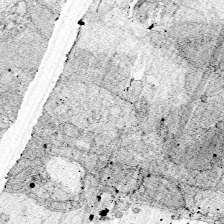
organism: Zebrafish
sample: Whole-Brain